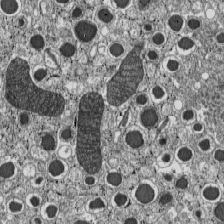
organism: C57BL Mouse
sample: Pancreatic islet